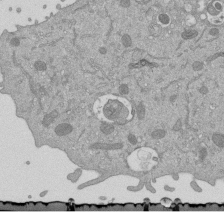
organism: Mouse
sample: ED-1 cell nuclei; centrioles